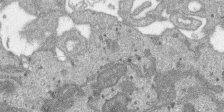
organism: Human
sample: Lung epithelial cells infected with SARS-CoV-2